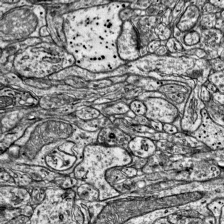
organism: Mouse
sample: Visual Cortex